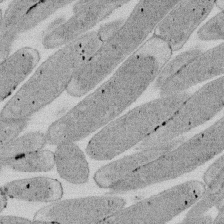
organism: E. coli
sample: Bacterial nucleoid